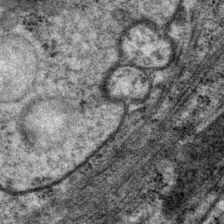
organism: P. pacificus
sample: Pharynx